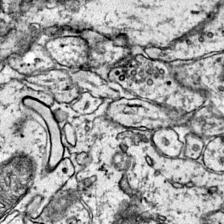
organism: Mouse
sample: Primary visual cortex